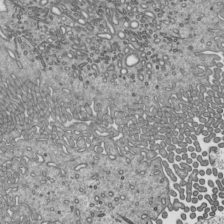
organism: Mouse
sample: Mouse epididymis efferent ductule cilia